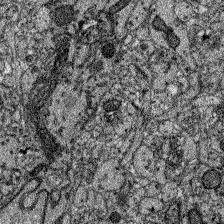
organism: Zebrafish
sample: Larval olfactory bulb